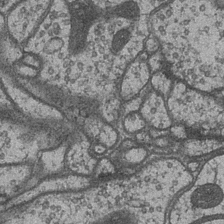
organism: Drosophila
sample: Optic medulla